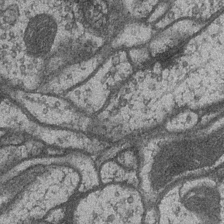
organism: Drosophila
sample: Optic medulla